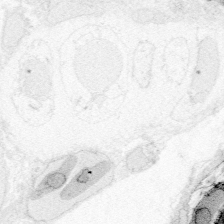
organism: Zebrafish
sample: Whole-Brain